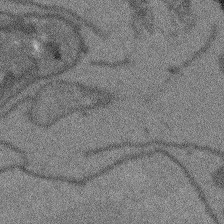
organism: Arabidopsis thaliana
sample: Root tip